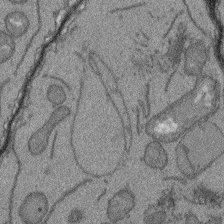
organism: Arabidopsis thaliana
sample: Root tip